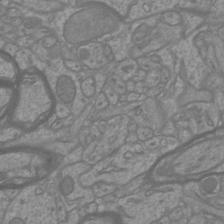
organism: Mouse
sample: Cortical neurons